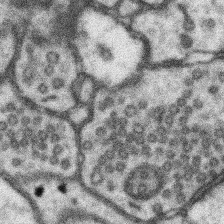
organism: Mouse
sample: Somatosensory cortex neuropil